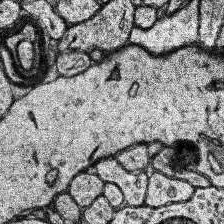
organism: Human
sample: Temporal Lobe